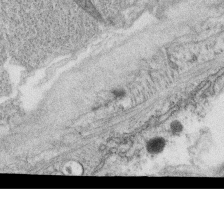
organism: C. elegans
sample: C. elegans oocyte; sperm cells